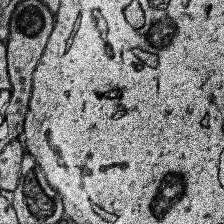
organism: Human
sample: Temporal Lobe